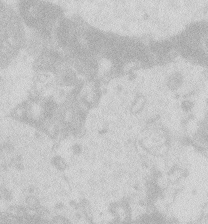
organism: Zebrafish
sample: Macrophage